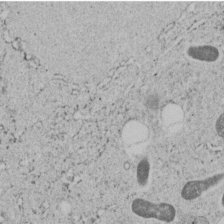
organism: C. elegans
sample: C. elegans embryo early stage